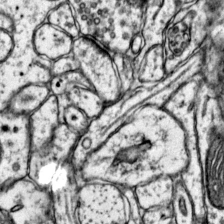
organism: Mouse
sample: Primary visual cortex